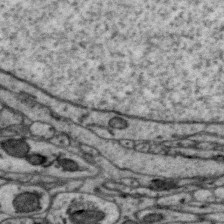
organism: Zebra finch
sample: Brain